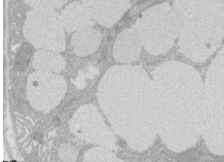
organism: Rat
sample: Salivary granule